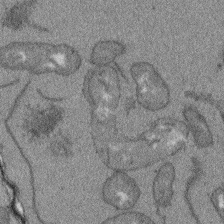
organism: Arabidopsis thaliana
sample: Root tip